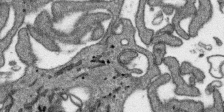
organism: Human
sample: Lung epithelial cells, uninfected (mock) control